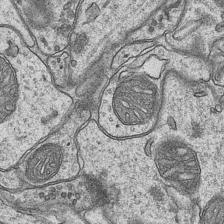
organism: Mouse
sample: CA1 Hippocampus